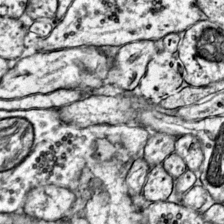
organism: Mouse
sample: Primary visual cortex